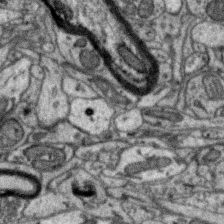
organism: Zebra finch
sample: Brain